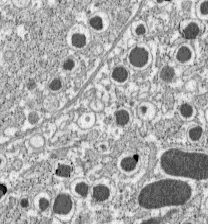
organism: C57BL Mouse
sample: Pancreatic islet